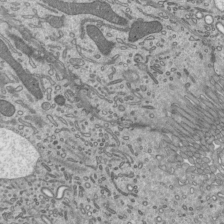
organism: Mouse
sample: Mouse epididymis efferent ductule cilia